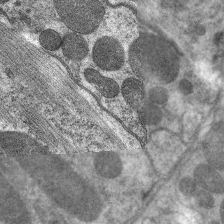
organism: C. elegans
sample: Pharynx